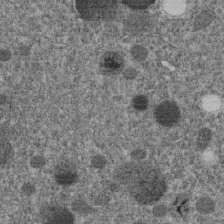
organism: C. elegans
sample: C. elegans embryo early stage